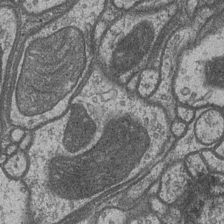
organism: Drosophila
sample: Optic medulla